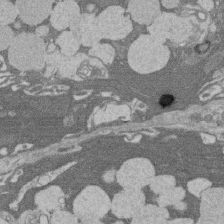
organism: Rat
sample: Salivary granule